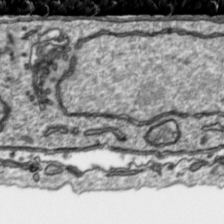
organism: Toxoplasma gondii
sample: Parasites in a vacuole inside a host cell